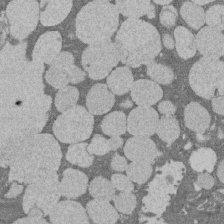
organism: Rat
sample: Salivary granule